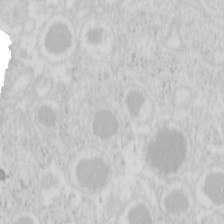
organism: Mouse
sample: Pancreas